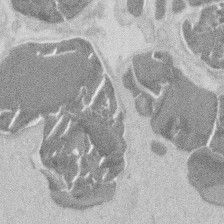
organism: Mouse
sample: T cell stromal cell synapse